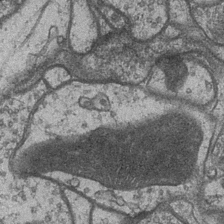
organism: Drosophila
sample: Optic medulla